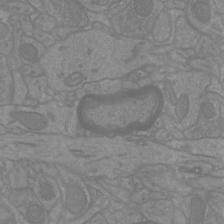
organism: Mouse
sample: Cortical neurons